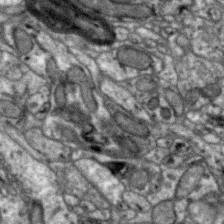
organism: Zebra finch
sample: Brain